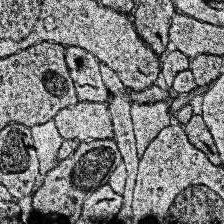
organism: Human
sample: Temporal Lobe